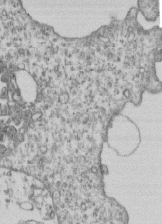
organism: Human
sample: MDA-MB-231 cells